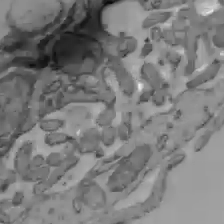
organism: C57BL Mouse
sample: Liver